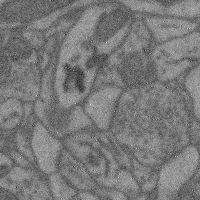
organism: Mouse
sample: Cerebral cortex